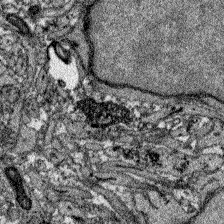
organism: Zebrafish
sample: Larval olfactory bulb